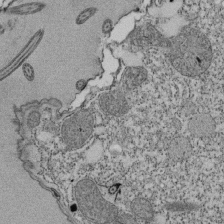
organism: Tetrahymena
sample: Cilia in tetrahymena